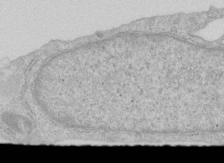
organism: Human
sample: Centriole in RPE cells